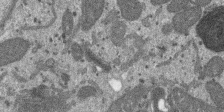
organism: Human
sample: Lung epithelial cells infected with SARS-CoV-2